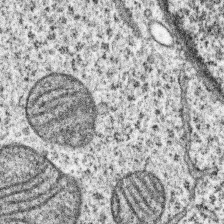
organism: Human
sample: HeLa cells